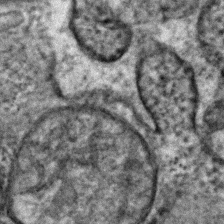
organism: Human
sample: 1205lu cells